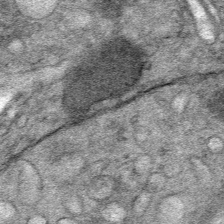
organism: Mouse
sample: Mouse Salivary gland